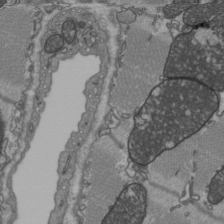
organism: C57BL Mouse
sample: Heart